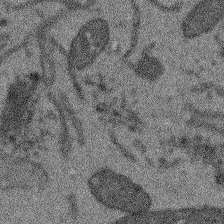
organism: Arabidopsis thaliana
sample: Root tip